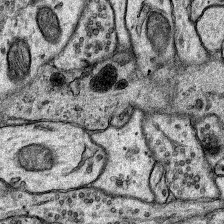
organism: Rat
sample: Hippocampus